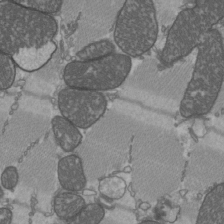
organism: C57BL Mouse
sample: Heart